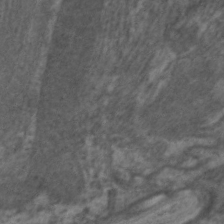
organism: C. elegans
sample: Pharynx